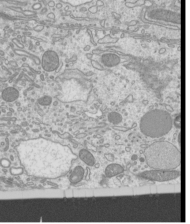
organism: Mouse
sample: Cilia; mouse epididymis